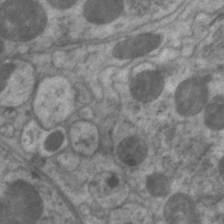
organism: C. elegans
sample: Pharynx